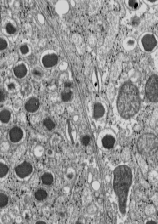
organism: C57BL Mouse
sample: Pancreatic islet